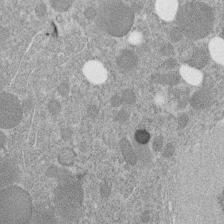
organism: C. elegans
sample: C. elegans embryo early stage